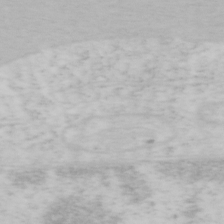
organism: Mouse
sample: OT-I killer T cells with ID8 ovarian cancer cells